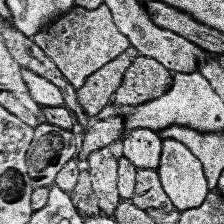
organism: Human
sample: Temporal Lobe